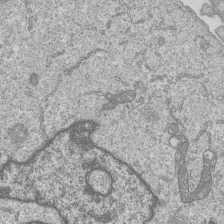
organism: Human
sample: MDA-MB-231 cells